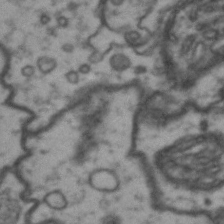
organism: Drosophila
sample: Brain